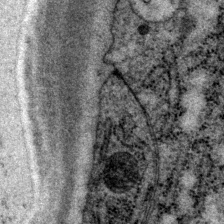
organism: P. pacificus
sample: Pharynx